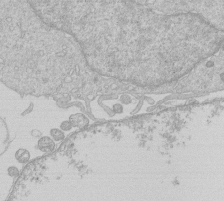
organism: Human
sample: Macrophage cells